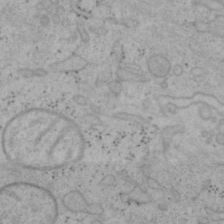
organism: Human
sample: HeLa cells